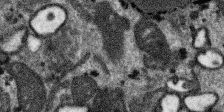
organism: Human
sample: Lung epithelial cells infected with SARS-CoV-2